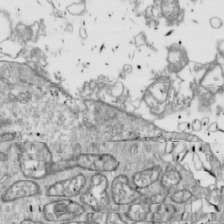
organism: Drosophila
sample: Cell division; meiosis; drosophila spermatocytes